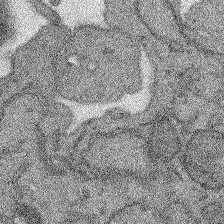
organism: Human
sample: HeLa cells